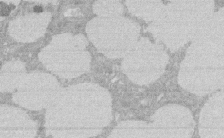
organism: Rat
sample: Salivary granule